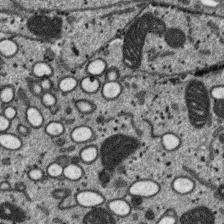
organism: Human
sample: Lung epithelial cells infected with SARS-CoV-2